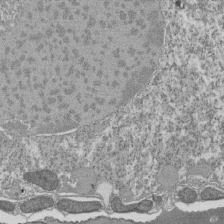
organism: Tetrahymena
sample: Cilia in tetrahymena